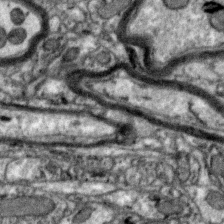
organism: Zebra finch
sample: Brain